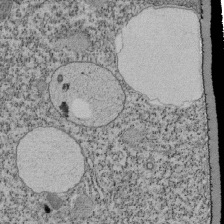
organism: Tetrahymena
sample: Cilia in tetrahymena